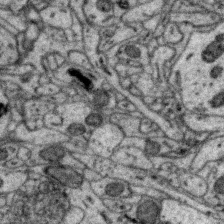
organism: Zebra finch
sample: Brain